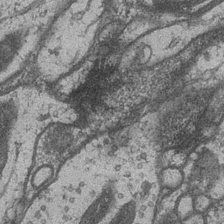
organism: Drosophila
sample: Optic medulla